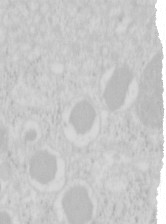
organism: Mouse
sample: Pancreas